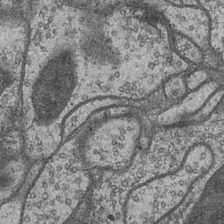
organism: Drosophila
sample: Optic medulla